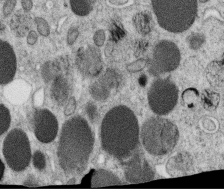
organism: C. elegans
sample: C. elegans oocyte; sperm cells